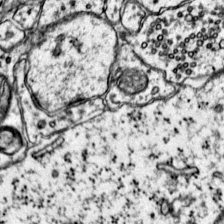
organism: Mouse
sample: Primary visual cortex